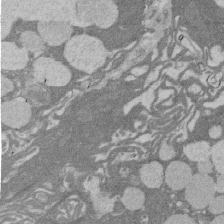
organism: Rat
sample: Salivary granule